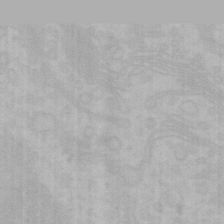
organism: Mouse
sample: Choroid plexus